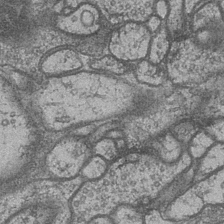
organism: Drosophila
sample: Optic medulla